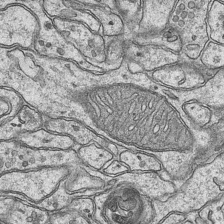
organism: Mouse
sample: CA1 Hippocampus